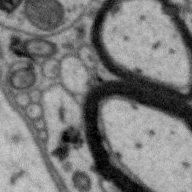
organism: Zebra finch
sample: Brain